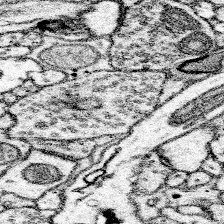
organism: Mouse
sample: Somatosensory cortex neuropil